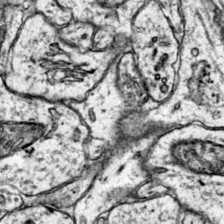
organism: Mouse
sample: Primary visual cortex